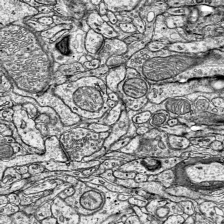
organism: Mouse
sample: Visual Cortex